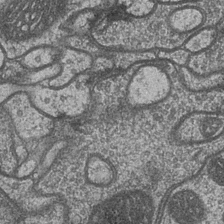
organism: Drosophila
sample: Optic medulla